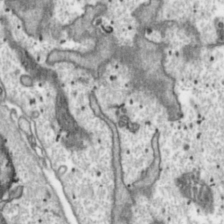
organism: Toxoplasma gondii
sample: Parasites in a vacuole inside a host cell